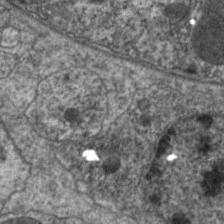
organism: C. elegans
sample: Pharynx